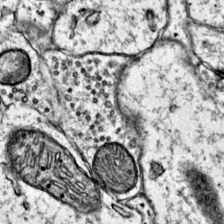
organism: Mouse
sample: Primary visual cortex